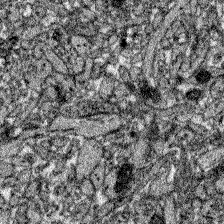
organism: Zebrafish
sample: Larval olfactory bulb